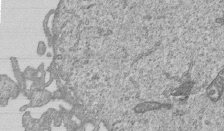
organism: Human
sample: MDA-MB-231 cells